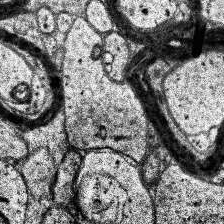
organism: Human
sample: Temporal Lobe